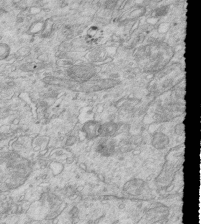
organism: Mouse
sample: Multiciliated cells